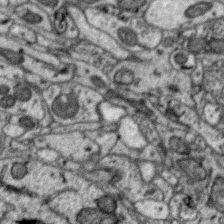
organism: Zebra finch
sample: Brain